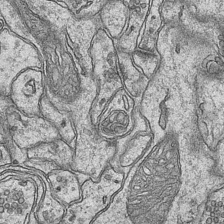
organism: Mouse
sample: CA1 Hippocampus